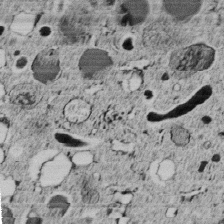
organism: C. elegans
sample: C. elegans embryo early stage